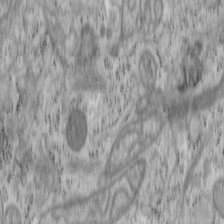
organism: Human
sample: HeLa cells